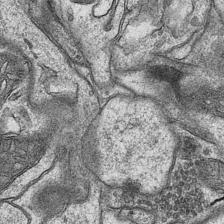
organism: Mouse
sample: CA1 Hippocampus